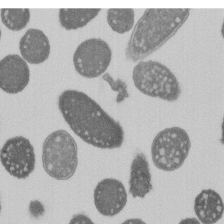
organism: E. coli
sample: Bacterial nucleoid